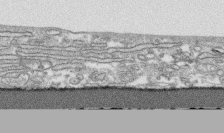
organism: Human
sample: CRL-1474